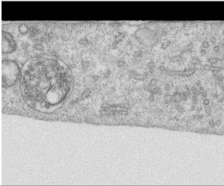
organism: Human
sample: Centriole in RPE cells